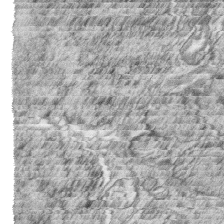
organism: Zebrafish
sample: synaptic ribbons in rod cells and cone cells